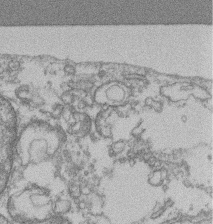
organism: Mouse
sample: T cell stromal cell synapse